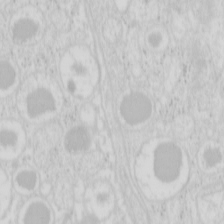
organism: Mouse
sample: Pancreas